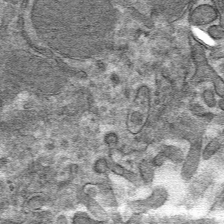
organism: Mouse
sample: Mouse hepatocytes